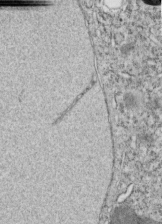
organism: C. elegans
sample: C. elegans embryo early stage